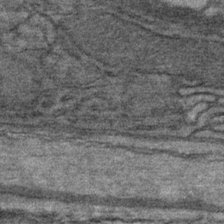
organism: Mouse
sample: Mouse Salivary gland